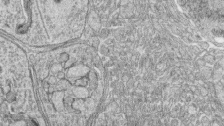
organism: Zebrafish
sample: synaptic ribbons in rod cells and cone cells